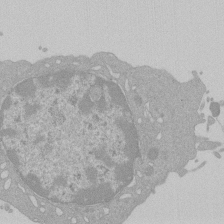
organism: Mouse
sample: Activated Pmel transgenic CD8+ T Cells